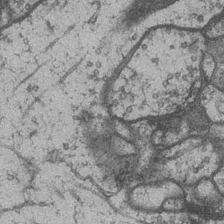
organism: Drosophila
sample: Optic medulla